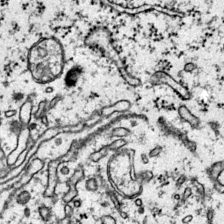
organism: Mouse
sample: Primary visual cortex